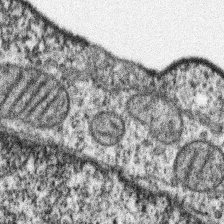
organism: Human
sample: HeLa cells